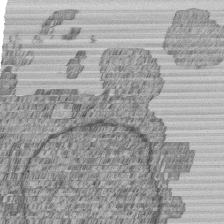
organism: Human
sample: MDA-MB-231 cells